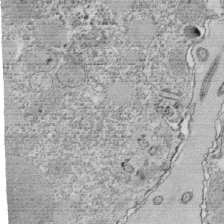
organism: Tetrahymena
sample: Cilia in tetrahymena